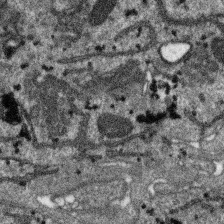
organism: Human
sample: Lung epithelial cells infected with SARS-CoV-2